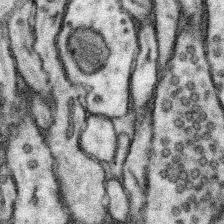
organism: Mouse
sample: Somatosensory cortex neuropil